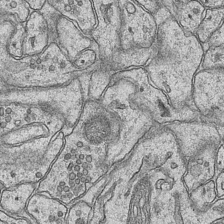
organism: Mouse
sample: CA1 Hippocampus